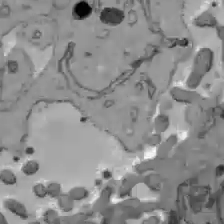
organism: C57BL Mouse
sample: Liver